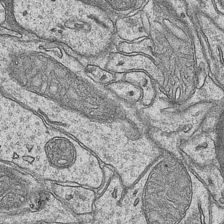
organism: Mouse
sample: CA1 Hippocampus